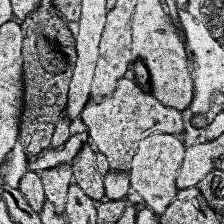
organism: Human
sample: Temporal Lobe